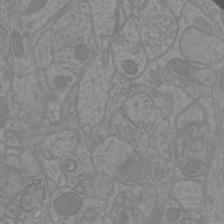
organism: Mouse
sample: Cortical neurons